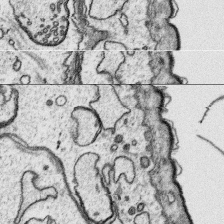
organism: Platynereis dumerilii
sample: Parapodia